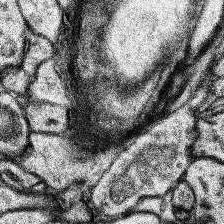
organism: Human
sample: Temporal Lobe